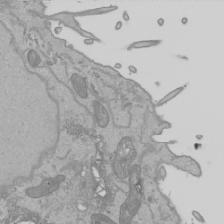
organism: Human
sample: Mitochondria in HCT116 cells